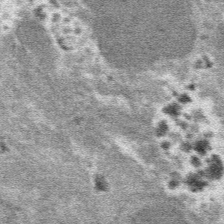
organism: Mouse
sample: Mouse hepatocytes